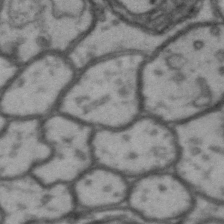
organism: Drosophila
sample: Brain